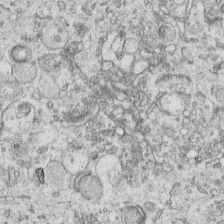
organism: Human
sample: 1205lu cells